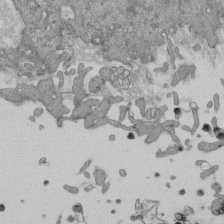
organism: Mouse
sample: ED-1 cell nuclei; centrioles